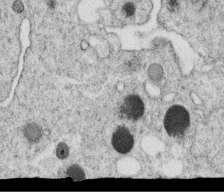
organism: C. elegans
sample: C. elegans oocyte; sperm cells